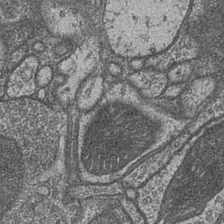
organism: Drosophila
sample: Optic medulla